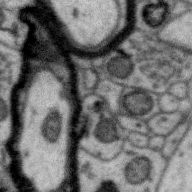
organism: Zebra finch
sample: Brain